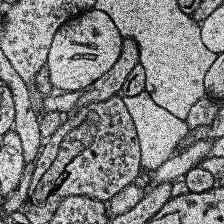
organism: Human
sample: Temporal Lobe